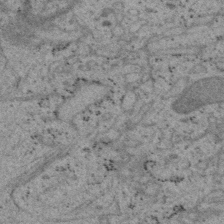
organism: Human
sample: HeLa cells